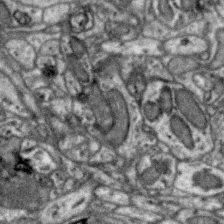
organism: Zebra finch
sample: Brain